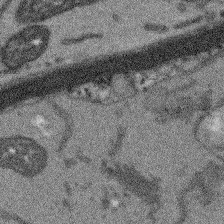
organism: Arabidopsis thaliana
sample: Root tip